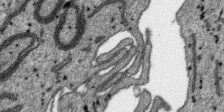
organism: Human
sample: Lung epithelial cells, uninfected (mock) control